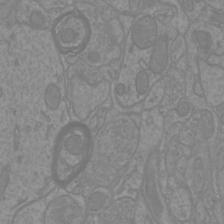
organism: Mouse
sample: Cortical neurons